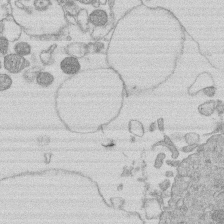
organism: Human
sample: Macrophage cells